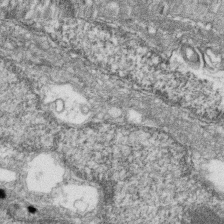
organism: Zebrafish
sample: Cilia; retinal pigment epithelium